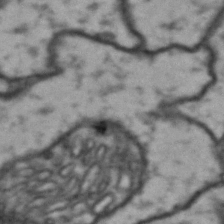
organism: Drosophila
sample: Brain